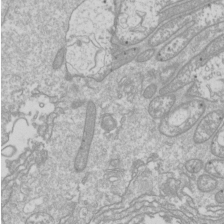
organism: Drosophila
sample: Cell division; meiosis; drosophila spermatocytes